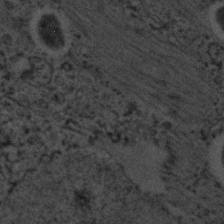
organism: C. elegans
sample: C. elegans embryo